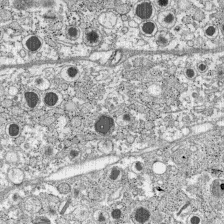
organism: C57BL Mouse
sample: Pancreatic islet